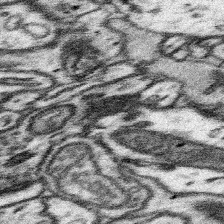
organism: Mouse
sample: Somatosensory cortex neuropil